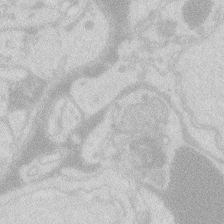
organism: Zebrafish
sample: Macrophage